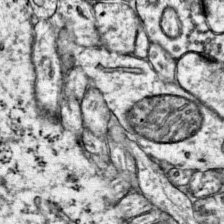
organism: Mouse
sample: Primary visual cortex